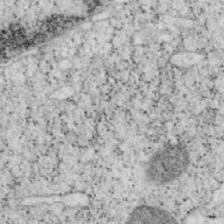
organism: Mouse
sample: OT-I killer T cells with ID8 ovarian cancer cells